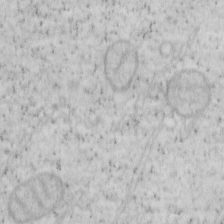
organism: Human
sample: HeLa cells